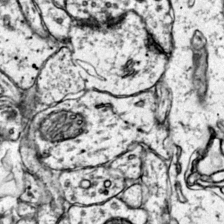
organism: Mouse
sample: Primary visual cortex